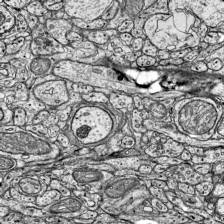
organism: Mouse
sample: Visual Cortex